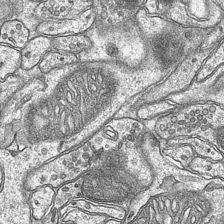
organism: Mouse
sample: CA1 Hippocampus